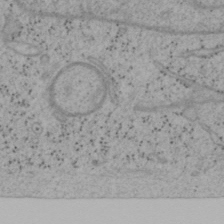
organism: Human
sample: HeLa cells